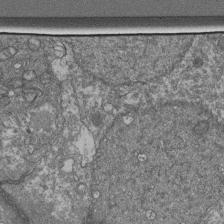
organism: Human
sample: Retinal organoid Rod and Cone cells